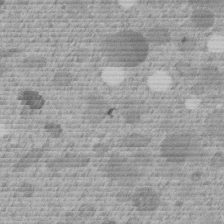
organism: C. elegans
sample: C. elegans embryo early stage